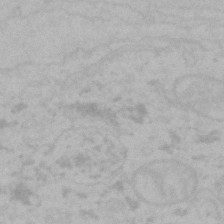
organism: Mouse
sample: Choroid plexus